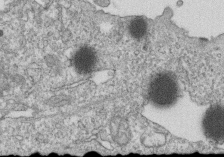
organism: Human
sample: HeLa cell HIV synapse